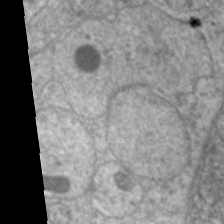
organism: C. elegans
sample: Pharynx